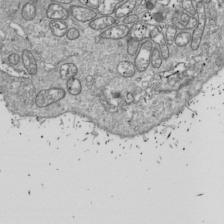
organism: Drosophila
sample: Cell division; meiosis; drosophila spermatocytes